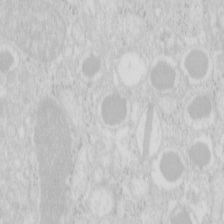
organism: Mouse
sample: Pancreas